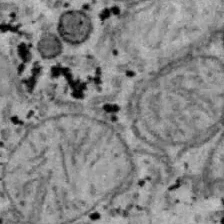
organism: Mouse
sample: Liver from an obese (ob/ob) mouse